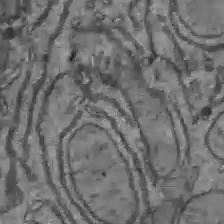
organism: C57BL Mouse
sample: Liver